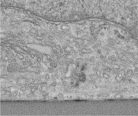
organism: Human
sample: Centriole in RPE cells